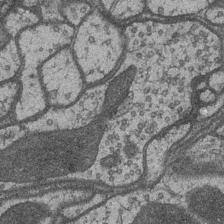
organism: Drosophila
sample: Optic medulla